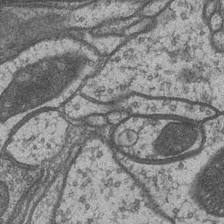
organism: Drosophila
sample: Optic medulla